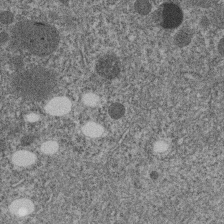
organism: C. elegans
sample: C. elegans embryo early stage